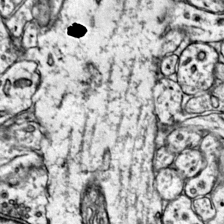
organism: Mouse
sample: Primary visual cortex